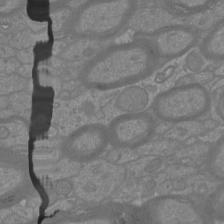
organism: Mouse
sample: Cortical neurons